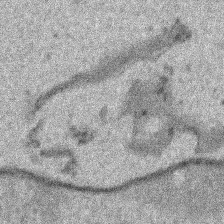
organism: Human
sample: Mitochondria in HCT116 cells